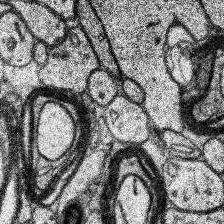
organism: Human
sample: Temporal Lobe